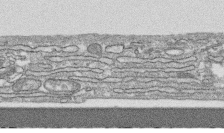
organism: Human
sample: CRL-1474